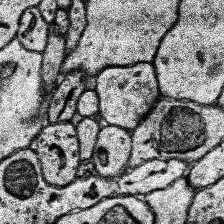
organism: Human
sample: Temporal Lobe